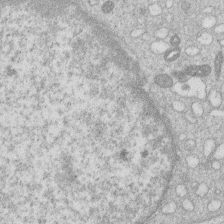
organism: Human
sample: Macrophage cells